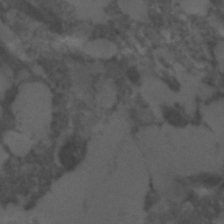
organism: C. elegans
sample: C. elegans embryo